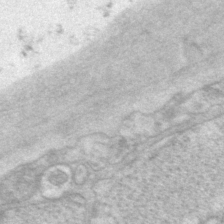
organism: P. pacificus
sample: Pharynx